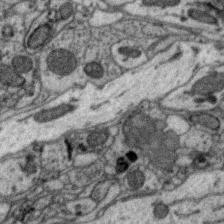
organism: Zebra finch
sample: Brain